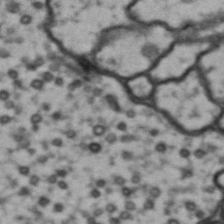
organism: Drosophila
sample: Brain